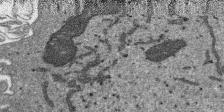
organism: Human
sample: Lung epithelial cells infected with SARS-CoV-2